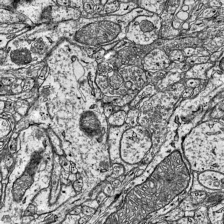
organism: Mouse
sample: Visual Cortex